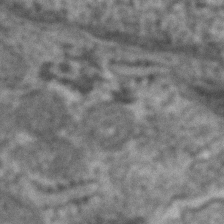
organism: Human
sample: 1205lu cells